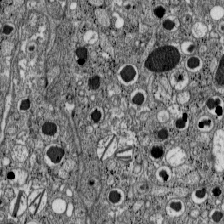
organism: C57BL Mouse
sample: Pancreatic islet